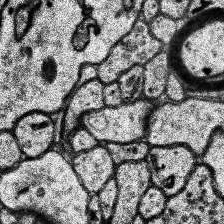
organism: Human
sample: Temporal Lobe